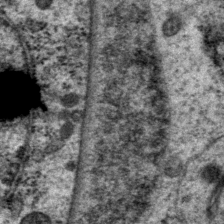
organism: P. pacificus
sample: Pharynx